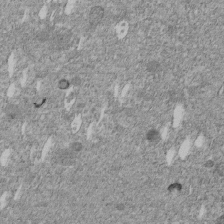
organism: C. elegans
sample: C. elegans embryo early stage